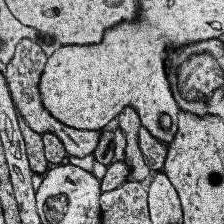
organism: Human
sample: Temporal Lobe